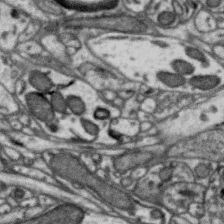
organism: Zebra finch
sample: Brain